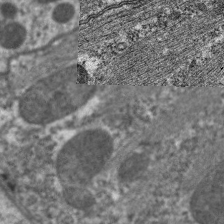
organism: C. elegans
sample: Pharynx